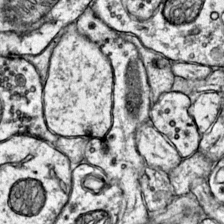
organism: Mouse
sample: Primary visual cortex